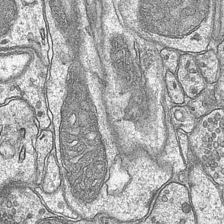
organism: Mouse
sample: CA1 Hippocampus